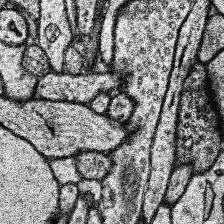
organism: Human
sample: Temporal Lobe